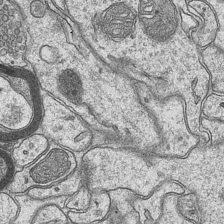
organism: Mouse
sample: CA1 Hippocampus